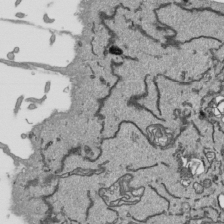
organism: Human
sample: Mitochondria in HCT116 cells